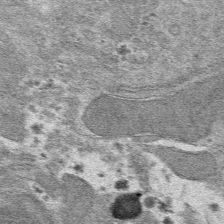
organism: Mouse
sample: Mouse hepatocytes